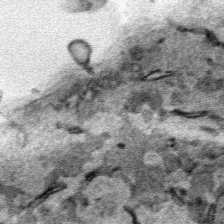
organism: Human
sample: Mitochondria in HCT116 cells